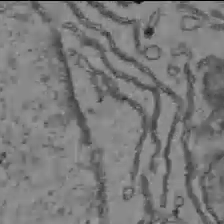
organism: C57BL Mouse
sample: Liver